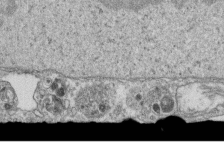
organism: Human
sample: HeLa cell HIV synapse